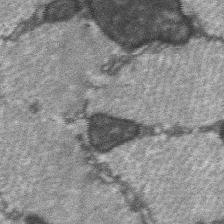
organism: C57BL Mouse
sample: Soleus